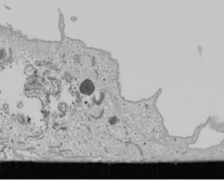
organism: Human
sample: Mitochondria in U2OS cells